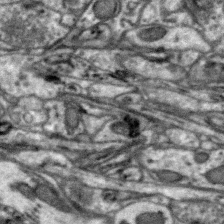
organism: Zebra finch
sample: Brain